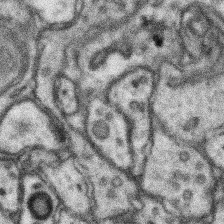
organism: Mouse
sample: Somatosensory cortex neuropil